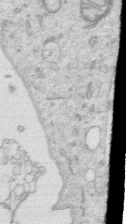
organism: Human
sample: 1205lu cells